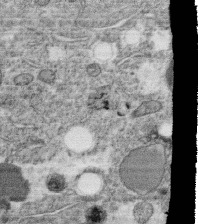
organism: C. elegans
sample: C. elegans oocyte; sperm cells